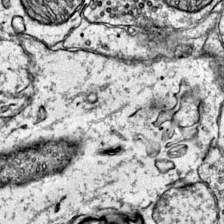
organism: Mouse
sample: Primary visual cortex